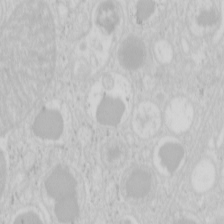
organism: Mouse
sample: Pancreas